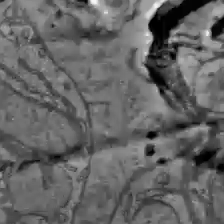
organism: C57BL Mouse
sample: Liver